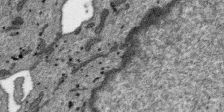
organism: Human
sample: Lung epithelial cells, uninfected (mock) control